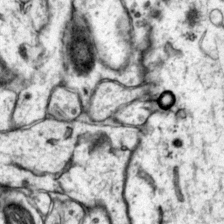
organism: Mouse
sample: Primary visual cortex